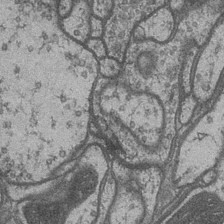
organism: Drosophila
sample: Optic medulla